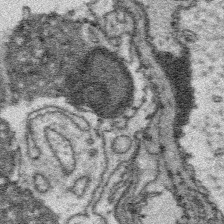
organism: Platynereis dumerilii